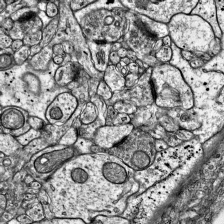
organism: Mouse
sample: Visual Cortex